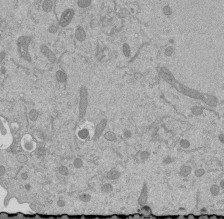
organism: Mouse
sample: ED-1 cell nuclei; centrioles